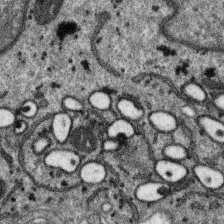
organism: Human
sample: Lung epithelial cells infected with SARS-CoV-2